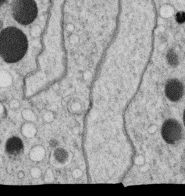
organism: C. elegans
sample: C. elegans oocyte; sperm cells